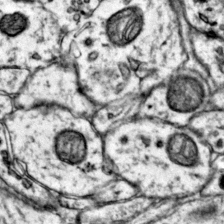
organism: Mouse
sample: Primary visual cortex